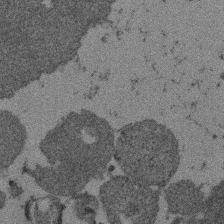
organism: Mouse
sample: Dividing mouse embryo 1 cell stage